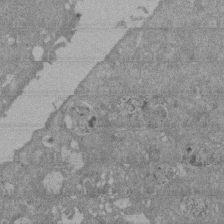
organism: Mouse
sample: ED-1 cell nuclei; centrioles